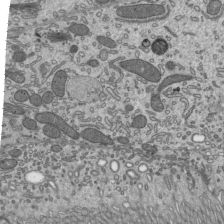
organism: Mouse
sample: Mouse epididymis efferent ductule cilia